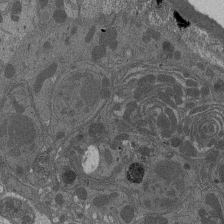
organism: Drosophila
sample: Antenna